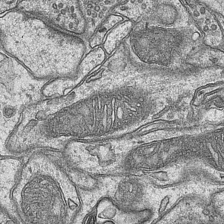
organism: Mouse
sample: CA1 Hippocampus